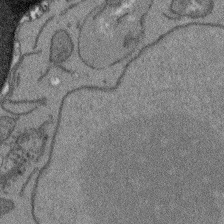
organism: Arabidopsis thaliana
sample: Root tip